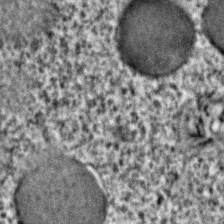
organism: C. elegans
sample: C. elegans embryo